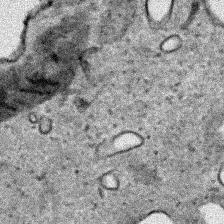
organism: Human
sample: Mitochondria in HCT116 cells